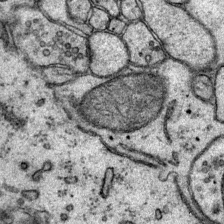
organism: Mouse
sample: Primary visual cortex